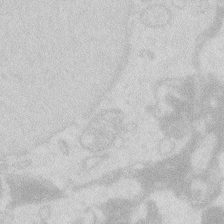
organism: Zebrafish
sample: Macrophage